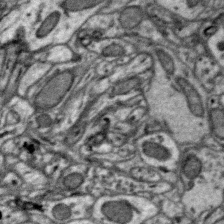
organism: Zebra finch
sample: Brain